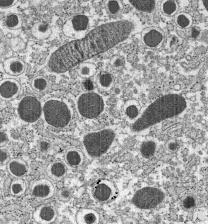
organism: C57BL Mouse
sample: Pancreatic islet